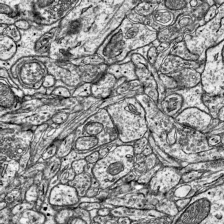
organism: Mouse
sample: Visual Cortex